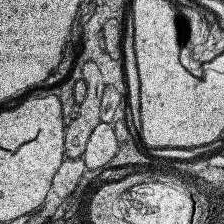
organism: Human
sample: Temporal Lobe